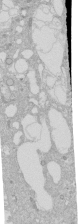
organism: Human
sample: Caco-2 cells